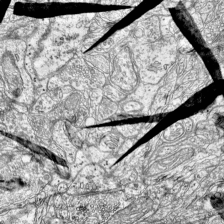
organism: Mouse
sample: Visual Cortex